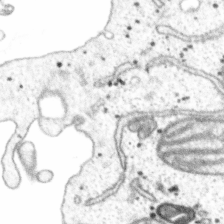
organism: Human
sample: HeLa cells